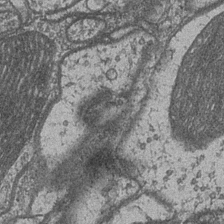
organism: Drosophila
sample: Optic medulla